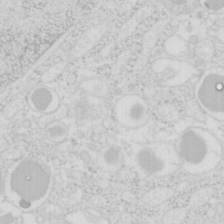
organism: Mouse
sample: Pancreas